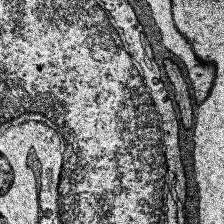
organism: Human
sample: Temporal Lobe